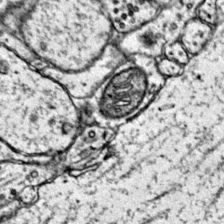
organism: Mouse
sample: Primary visual cortex